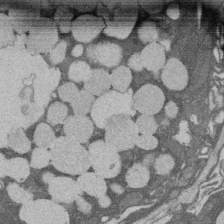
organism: Rat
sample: Salivary granule